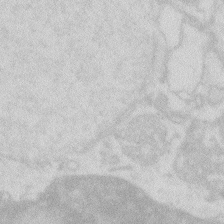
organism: Zebrafish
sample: Macrophage